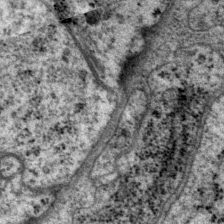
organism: P. pacificus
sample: Pharynx